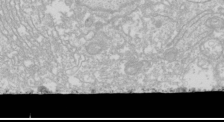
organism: Drosophila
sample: Cell division; meiosis; drosophila spermatocytes